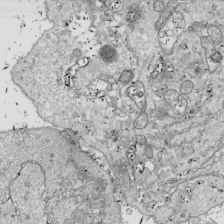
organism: Drosophila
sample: Cell division; meiosis; drosophila spermatocytes